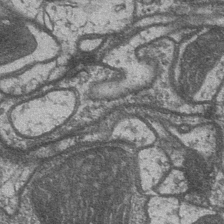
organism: Drosophila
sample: Optic medulla